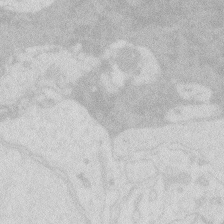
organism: Zebrafish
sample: Macrophage